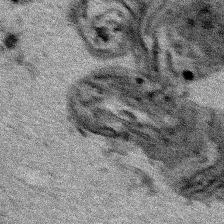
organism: Human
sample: Mitochondria in HCT116 cells